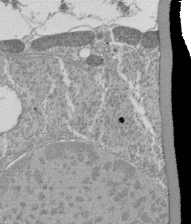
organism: Tetrahymena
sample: Cilia in tetrahymena